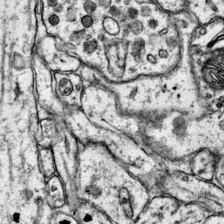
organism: Mouse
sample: Primary visual cortex